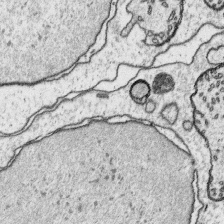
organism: Platynereis dumerilii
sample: Parapodia